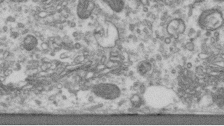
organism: Human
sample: Centriole in RPE cells